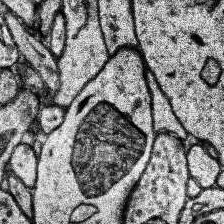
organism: Human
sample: Temporal Lobe